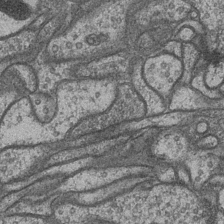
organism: Drosophila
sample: Optic medulla